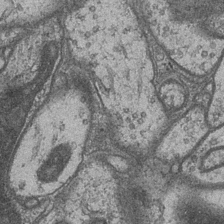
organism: Drosophila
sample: Optic medulla